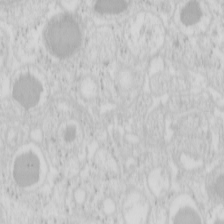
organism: Mouse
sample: Pancreas